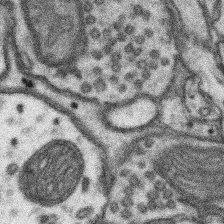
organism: Mouse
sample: Somatosensory cortex neuropil